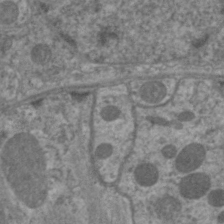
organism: C. elegans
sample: Pharynx